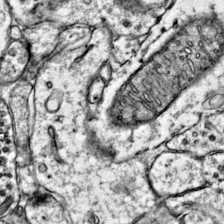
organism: Mouse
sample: Primary visual cortex